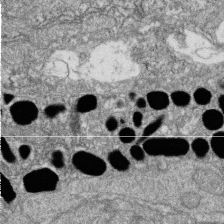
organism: Zebrafish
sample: Cilia; retinal pigment epithelium